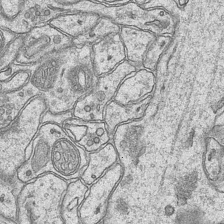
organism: Mouse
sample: CA1 Hippocampus